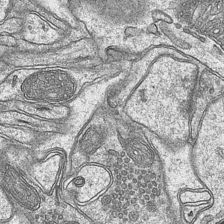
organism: Mouse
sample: CA1 Hippocampus